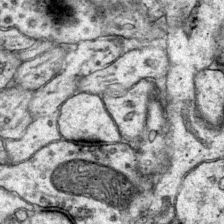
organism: Mouse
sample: Primary visual cortex